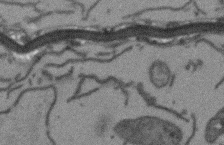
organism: Arabidopsis thaliana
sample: Root tip